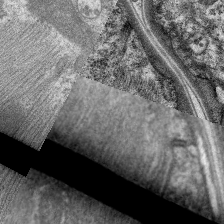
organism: C. elegans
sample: Pharynx